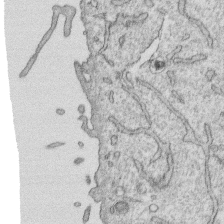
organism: Human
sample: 1205lu cells